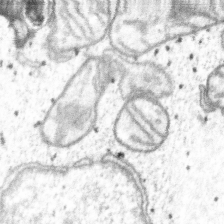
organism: Human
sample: HeLa cells